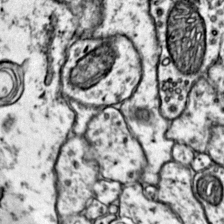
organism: Mouse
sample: Primary visual cortex